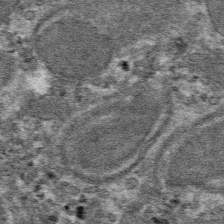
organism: Mouse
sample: Mouse hepatocytes